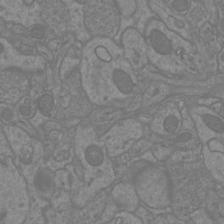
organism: Mouse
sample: Cortical neurons